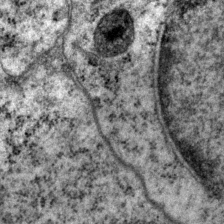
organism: P. pacificus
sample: Pharynx